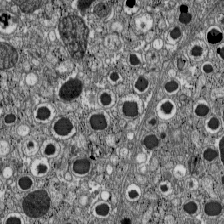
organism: C57BL Mouse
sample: Pancreatic islet